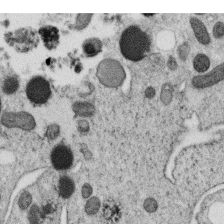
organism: C. elegans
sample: C. elegans oocyte; sperm cells